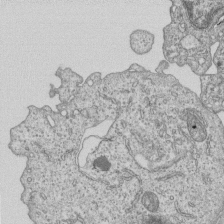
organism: Human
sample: MDA-MB-231 cells